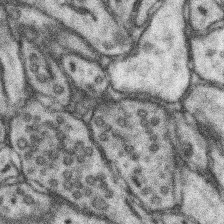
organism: Mouse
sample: Somatosensory cortex neuropil